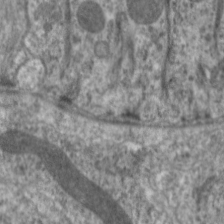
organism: C. elegans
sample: Pharynx